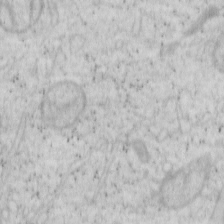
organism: Human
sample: HeLa cells